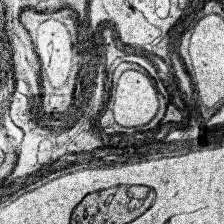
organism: Human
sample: Temporal Lobe